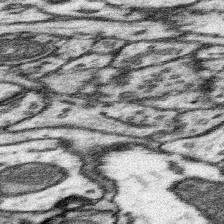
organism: Mouse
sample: Somatosensory cortex neuropil